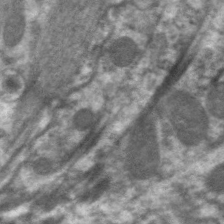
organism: C. elegans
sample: Pharynx